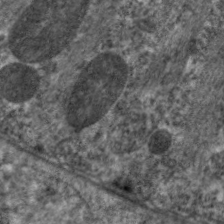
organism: C. elegans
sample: Pharynx